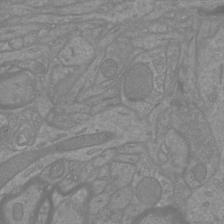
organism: Mouse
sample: Cortical neurons